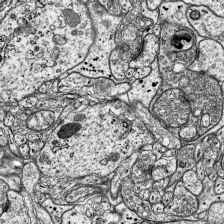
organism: Mouse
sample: Visual Cortex